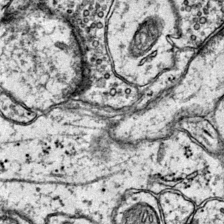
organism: Mouse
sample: Primary visual cortex